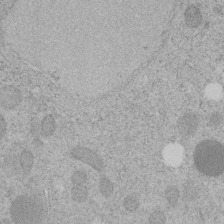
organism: C. elegans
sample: C. elegans embryo early stage